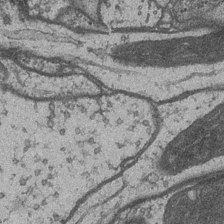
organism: Drosophila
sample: Optic medulla